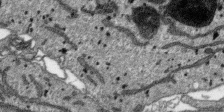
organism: Human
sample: Lung epithelial cells, uninfected (mock) control